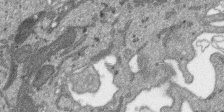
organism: Human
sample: Lung epithelial cells infected with SARS-CoV-2